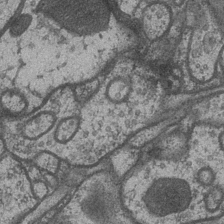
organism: Drosophila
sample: Optic medulla